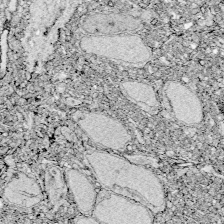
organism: Zebrafish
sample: Whole-Brain